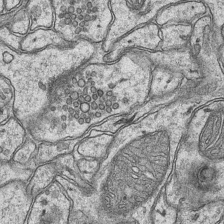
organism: Mouse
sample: CA1 Hippocampus